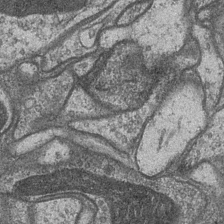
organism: Drosophila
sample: Optic medulla